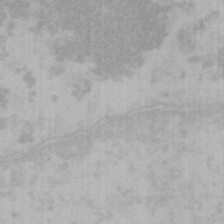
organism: Mouse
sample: Choroid plexus